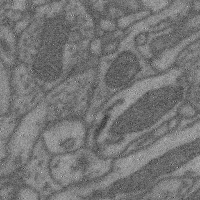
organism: Mouse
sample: Cerebral cortex